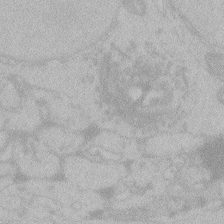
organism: Zebrafish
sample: Macrophage infected with Toxoplasma gondii